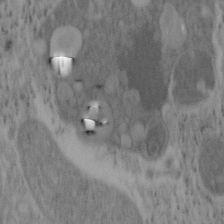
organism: Mouse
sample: OT-I killer T cells with ID8 ovarian cancer cells